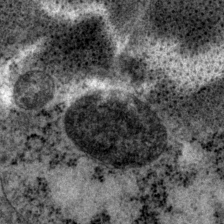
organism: P. pacificus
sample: Pharynx